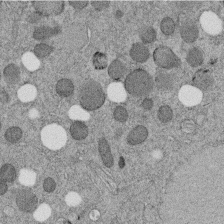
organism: C. elegans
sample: C. elegans embryo early stage